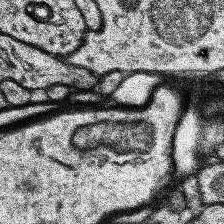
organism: Human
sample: Temporal Lobe